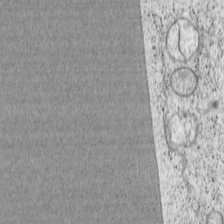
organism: African green monkey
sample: COS-7 cells